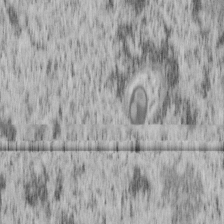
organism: Human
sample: HeLa cells